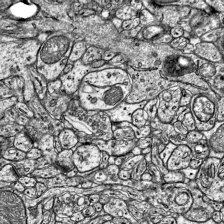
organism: Mouse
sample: Visual Cortex